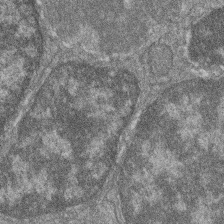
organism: Zebrafish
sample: Cilia; retinal pigment epithelium